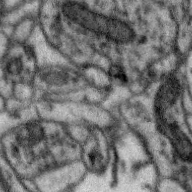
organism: Zebra finch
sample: Brain